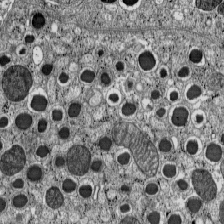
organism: C57BL Mouse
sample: Pancreatic islet